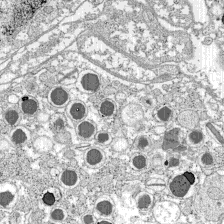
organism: C57BL Mouse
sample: Pancreatic islet